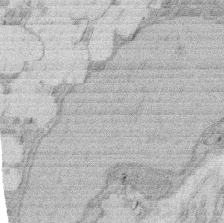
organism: Rat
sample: Salivary granule